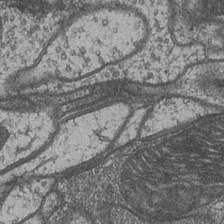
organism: Drosophila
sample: Optic medulla